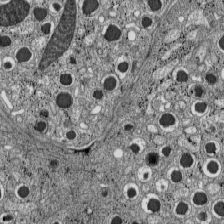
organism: C57BL Mouse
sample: Pancreatic islet